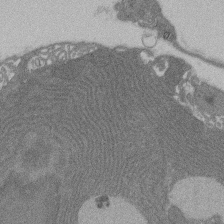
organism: Rat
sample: Salivary granule